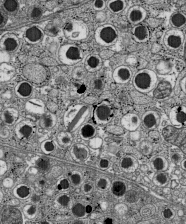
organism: C57BL Mouse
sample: Pancreatic islet